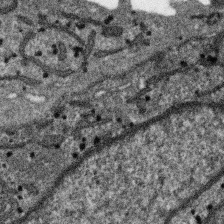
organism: Human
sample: Lung epithelial cells infected with SARS-CoV-2